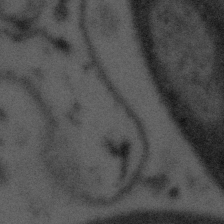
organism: Tuwongella immobilis